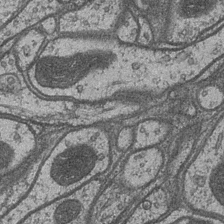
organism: Drosophila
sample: Optic medulla